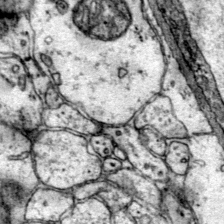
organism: Mouse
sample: Primary visual cortex